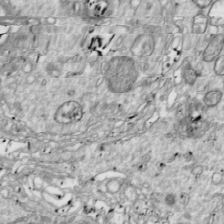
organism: Drosophila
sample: Cell division; meiosis; drosophila spermatocytes